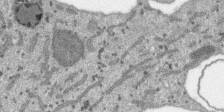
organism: Human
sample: Lung epithelial cells infected with SARS-CoV-2